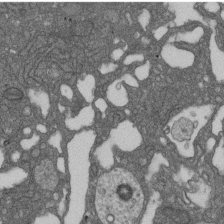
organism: Drosophila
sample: Nephrocyte